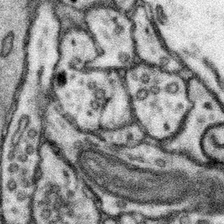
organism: Mouse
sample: Somatosensory cortex neuropil